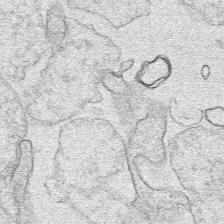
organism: Human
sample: Mitochondria in HCT116 cells